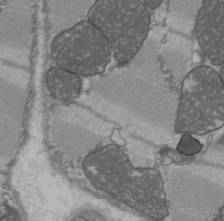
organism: C57BL Mouse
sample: Heart